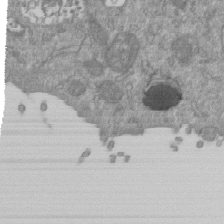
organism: Mouse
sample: ED-1 cell nuclei; centrioles